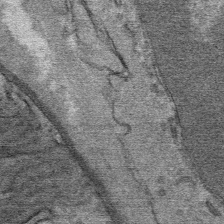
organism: Mouse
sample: Mouse Salivary gland